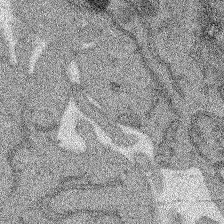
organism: Human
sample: HeLa cells